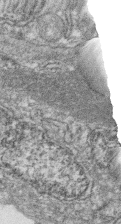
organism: Zebrafish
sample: Cilia; retinal pigment epithelium